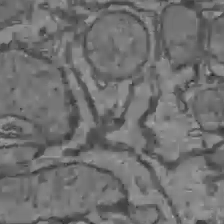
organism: C57BL Mouse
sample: Liver